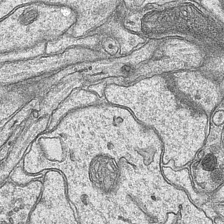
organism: Mouse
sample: CA1 Hippocampus